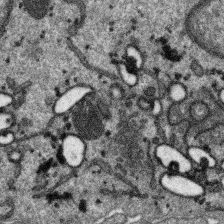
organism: Human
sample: Lung epithelial cells infected with SARS-CoV-2